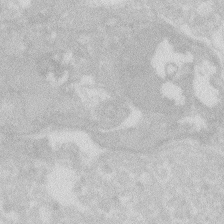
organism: Zebrafish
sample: Macrophage